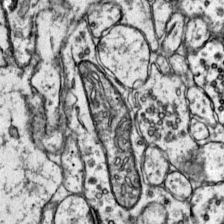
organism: Mouse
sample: Primary visual cortex